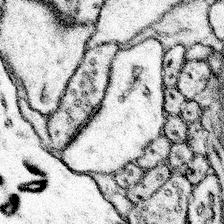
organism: Mouse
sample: Somatosensory cortex neuropil